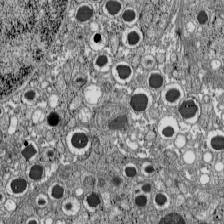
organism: C57BL Mouse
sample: Pancreatic islet